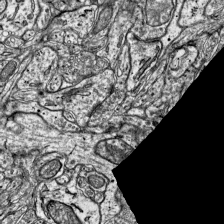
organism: Mouse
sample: Visual Cortex